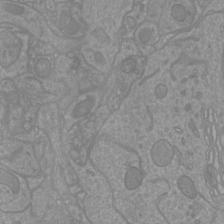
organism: Mouse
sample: Cortical neurons